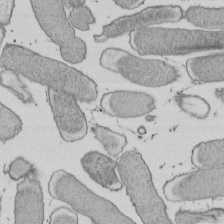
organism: E. coli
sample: Bacterial nucleoid